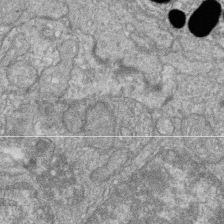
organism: Zebrafish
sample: Cilia; retinal pigment epithelium